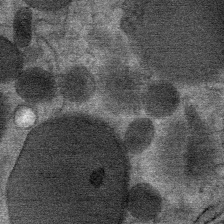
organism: Mouse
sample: Mouse Salivary gland